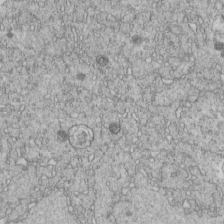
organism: C. elegans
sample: C. elegans embryo early stage